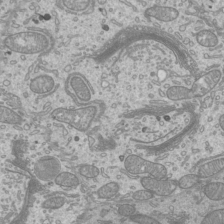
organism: Mouse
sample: Cilia; mouse epididymis